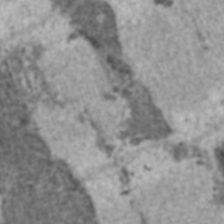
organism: C57BL Mouse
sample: Heart